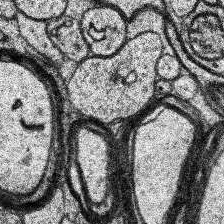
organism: Human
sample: Temporal Lobe